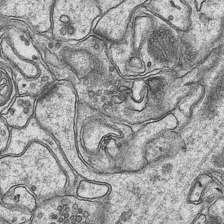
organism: Mouse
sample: CA1 Hippocampus